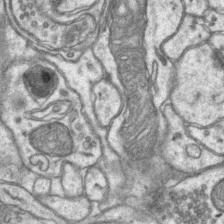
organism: Mouse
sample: CA1 Hippocampus